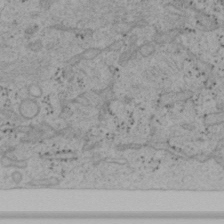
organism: Human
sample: HeLa cells